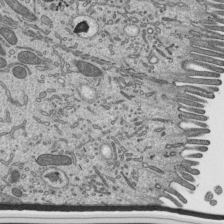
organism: Mouse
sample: Mouse epididymis efferent ductule cilia